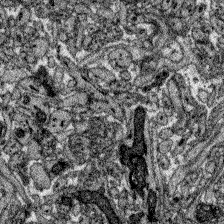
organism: Zebrafish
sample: Larval olfactory bulb